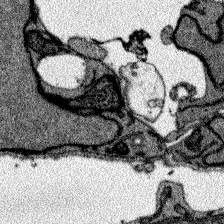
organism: Zebrafish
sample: Larval olfactory bulb